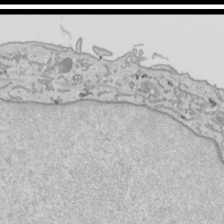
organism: Human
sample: Mitochondria in HCT116 cells